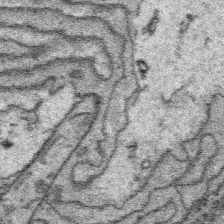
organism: Platynereis dumerilii